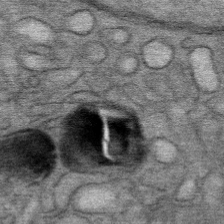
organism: Mouse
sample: Mouse Salivary gland